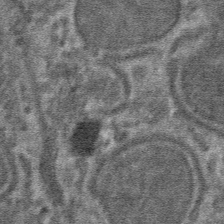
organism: Mouse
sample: Mouse hepatocytes